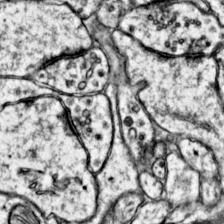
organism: Mouse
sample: Primary visual cortex